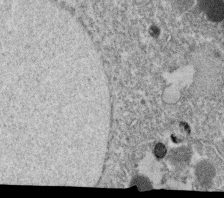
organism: C. elegans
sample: C. elegans oocyte; sperm cells